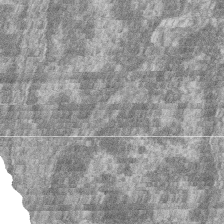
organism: Zebrafish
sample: Cilia; retinal pigment epithelium